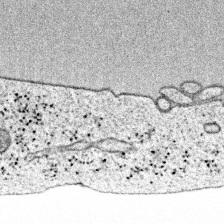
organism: Human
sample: HeLa cells